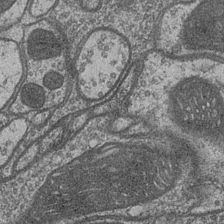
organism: Drosophila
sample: Optic medulla